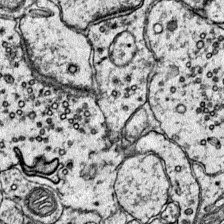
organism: Mouse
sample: Primary visual cortex